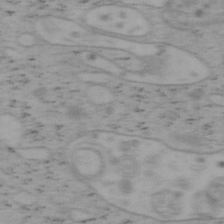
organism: Mouse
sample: OT-I killer T cells with ID8 ovarian cancer cells